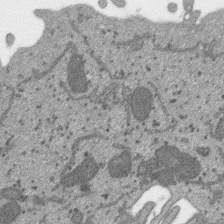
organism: Human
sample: Lung epithelial cells infected with SARS-CoV-2